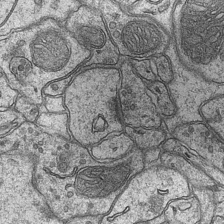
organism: Mouse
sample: CA1 Hippocampus